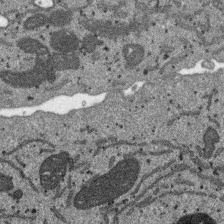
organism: Human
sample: Lung epithelial cells infected with SARS-CoV-2